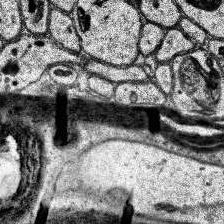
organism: Human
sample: Temporal Lobe